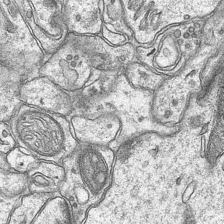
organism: Mouse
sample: CA1 Hippocampus